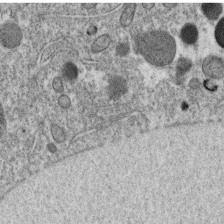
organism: C. elegans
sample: C. elegans oocyte; sperm cells